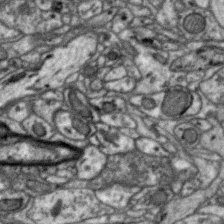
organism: Zebra finch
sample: Brain